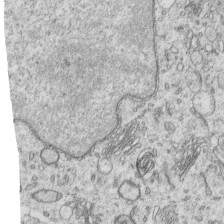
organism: Human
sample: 1205lu cells